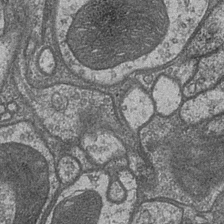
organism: Drosophila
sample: Optic medulla